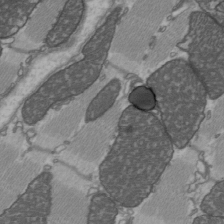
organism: C57BL Mouse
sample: Heart